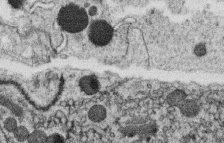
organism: C. elegans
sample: C. elegans oocyte; sperm cells